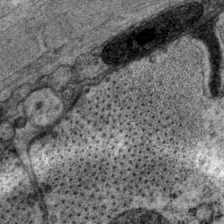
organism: P. pacificus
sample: Pharynx